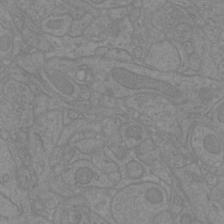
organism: Mouse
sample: Cortical neurons